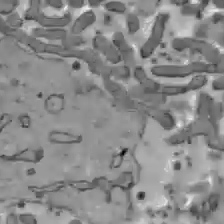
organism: C57BL Mouse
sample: Liver